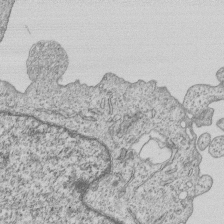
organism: Human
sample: MDA-MB-231 cells